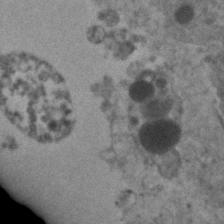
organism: Human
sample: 1205lu cells